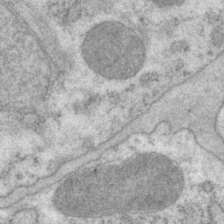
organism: P. pacificus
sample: Pharynx